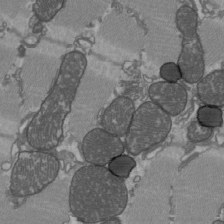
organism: C57BL Mouse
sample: Heart